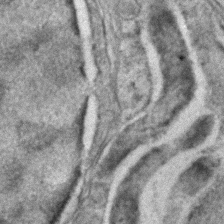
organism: C. elegans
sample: C. elegans embryo